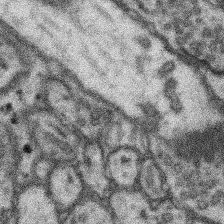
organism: Mouse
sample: Somatosensory cortex neuropil